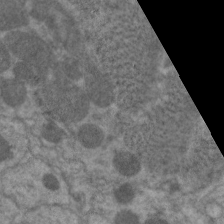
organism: C. elegans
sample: Pharynx